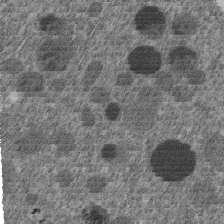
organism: C. elegans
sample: C. elegans embryo early stage